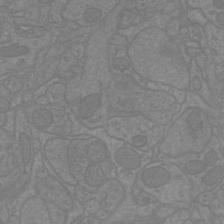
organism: Mouse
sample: Cortical neurons